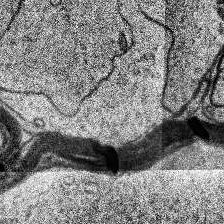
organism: Human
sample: Temporal Lobe